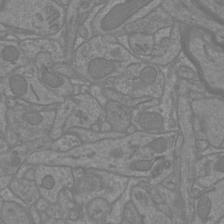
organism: Mouse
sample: Cortical neurons